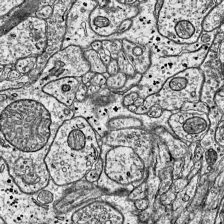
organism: Mouse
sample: Visual Cortex